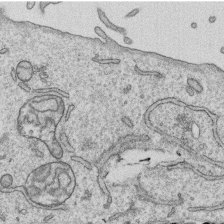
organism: Human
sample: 1205lu cells